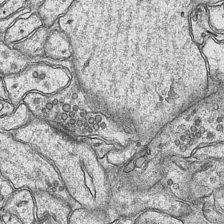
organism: Mouse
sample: CA1 Hippocampus